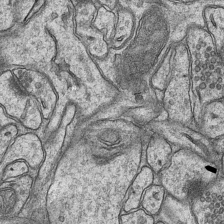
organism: Mouse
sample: CA1 Hippocampus